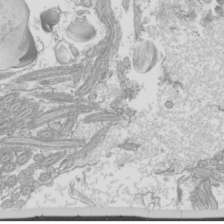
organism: Mouse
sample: Cilia; mouse epididymis